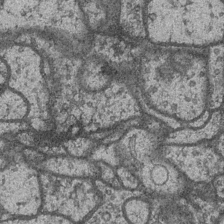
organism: Drosophila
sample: Optic medulla